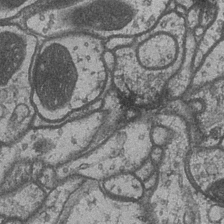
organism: Drosophila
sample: Optic medulla